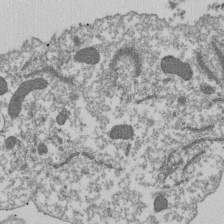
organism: Dictyostelium discoideum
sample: Dictyostelium multivesicular bodies